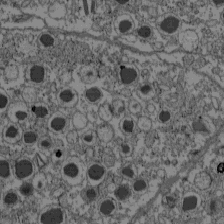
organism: C57BL Mouse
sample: Pancreatic islet